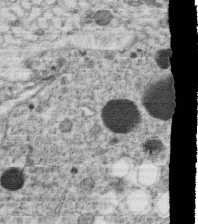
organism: C. elegans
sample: C. elegans oocyte; sperm cells